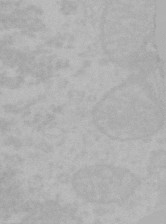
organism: Mouse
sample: Choroid plexus